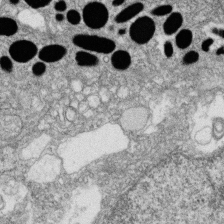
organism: Zebrafish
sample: Cilia; retinal pigment epithelium